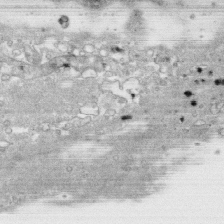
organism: Human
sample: CRL-1474